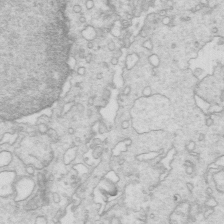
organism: Mouse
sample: Multiciliated cells